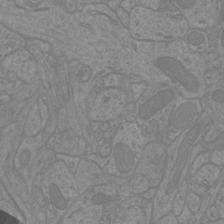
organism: Mouse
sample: Cortical neurons